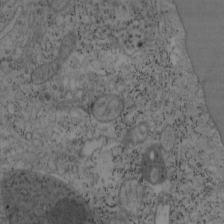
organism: Mouse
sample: OT-I killer T cells with ID8 ovarian cancer cells